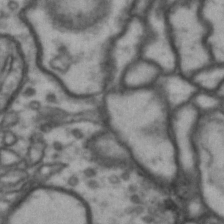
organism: Drosophila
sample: Brain